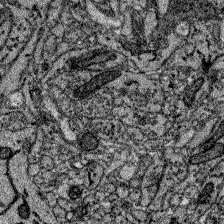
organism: Zebrafish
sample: Larval olfactory bulb